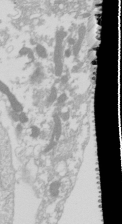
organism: Drosophila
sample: Cell division; meiosis; drosophila spermatocytes